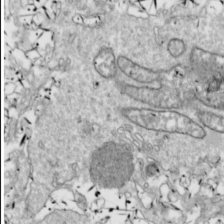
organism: Drosophila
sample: Cell division; meiosis; drosophila spermatocytes